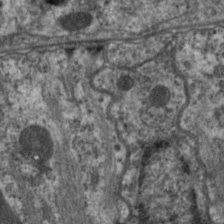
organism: C. elegans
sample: Pharynx